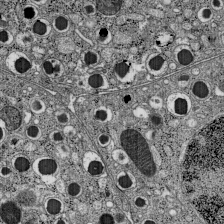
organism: C57BL Mouse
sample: Pancreatic islet